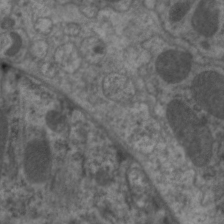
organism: C. elegans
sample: Pharynx